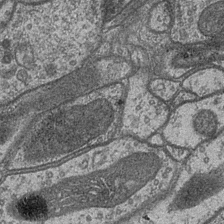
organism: Drosophila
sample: Optic medulla